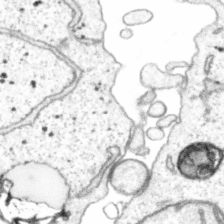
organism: Human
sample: HeLa cells